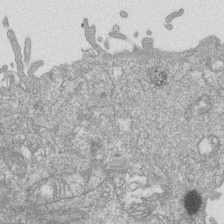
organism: Human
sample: HeLa cell HIV synapse